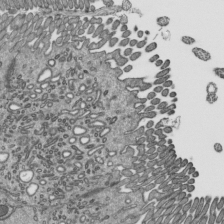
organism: Mouse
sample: Mouse epididymis efferent ductule cilia